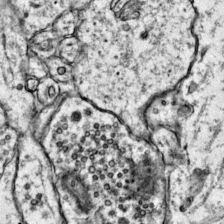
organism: Mouse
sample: Primary visual cortex